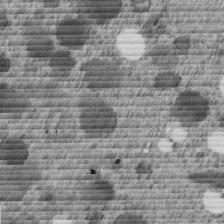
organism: C. elegans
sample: C. elegans embryo early stage